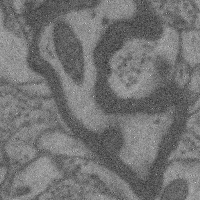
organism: Mouse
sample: Cerebral cortex